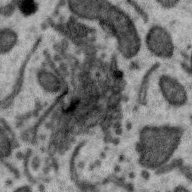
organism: Zebra finch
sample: Brain